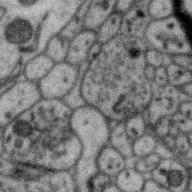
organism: Zebra finch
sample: Brain